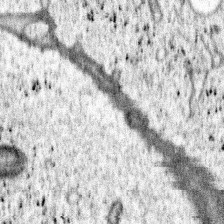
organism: Human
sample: HeLa cells